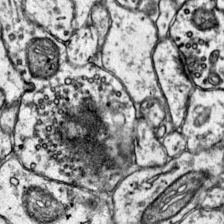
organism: Mouse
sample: Primary visual cortex